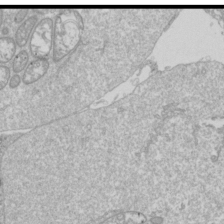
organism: Drosophila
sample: Cell division; meiosis; drosophila spermatocytes